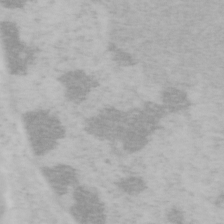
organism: Mouse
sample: OT-I killer T cells with ID8 ovarian cancer cells